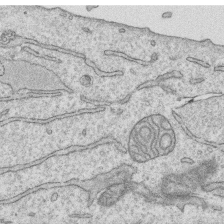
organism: Human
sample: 1205lu cells